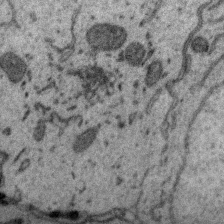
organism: Zebra finch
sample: Brain